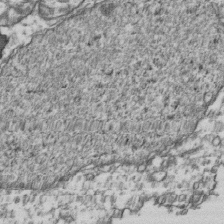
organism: Human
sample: Activated Jurkat CD4+ T cells